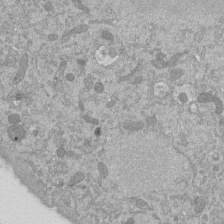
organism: Mouse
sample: ED-1 cell nuclei; centrioles